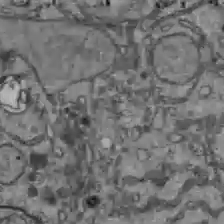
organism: C57BL Mouse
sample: Liver